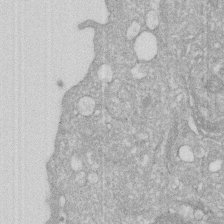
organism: Human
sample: HIV infected U937 cells